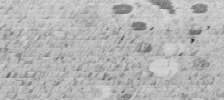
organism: C. elegans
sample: C. elegans embryo early stage